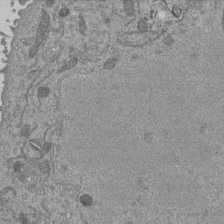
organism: Mouse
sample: ED-1 cell nuclei; centrioles